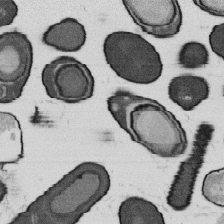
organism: B. subtilis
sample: Bacterial spore